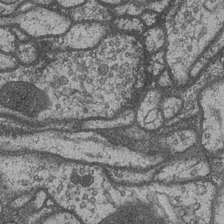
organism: Drosophila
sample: Optic medulla